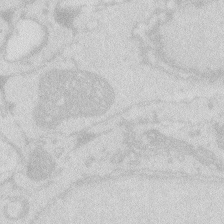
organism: Zebrafish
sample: Macrophage